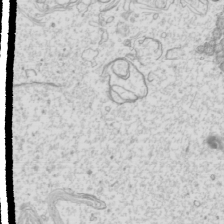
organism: Mouse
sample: Cilia; mouse epididymis